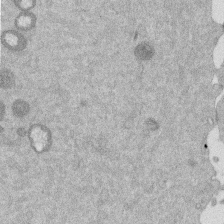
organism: Mouse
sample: Dividing mouse embryo 1 cell stage